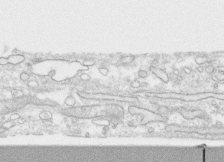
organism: Human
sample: CRL-1474